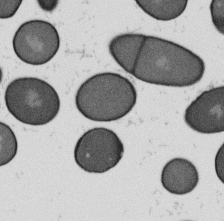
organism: B. subtilis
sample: Bacterial spore